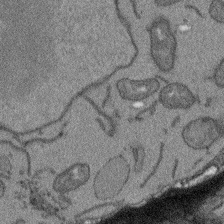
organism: Arabidopsis thaliana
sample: Root tip